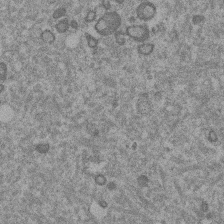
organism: Mouse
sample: Dividing mouse embryo 1 cell stage